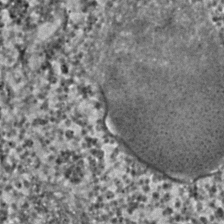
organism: C. elegans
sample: C. elegans embryo